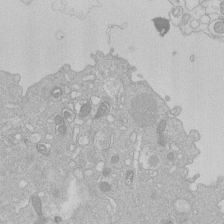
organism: Human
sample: Macrophage cells